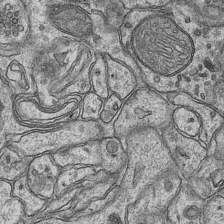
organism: Mouse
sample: CA1 Hippocampus